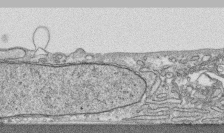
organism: Human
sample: CRL-1474